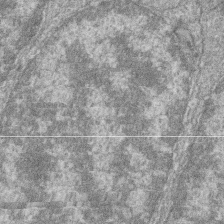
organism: Zebrafish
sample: Cilia; retinal pigment epithelium